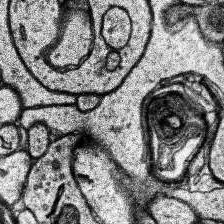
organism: Human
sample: Temporal Lobe